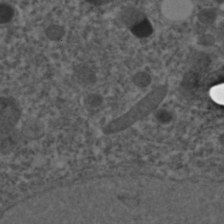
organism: C. elegans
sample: C. elegans embryo